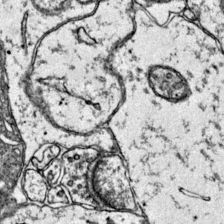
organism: Mouse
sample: Primary visual cortex